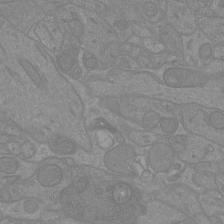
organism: Mouse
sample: Cortical neurons